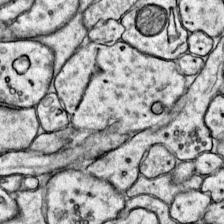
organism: Mouse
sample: Primary visual cortex